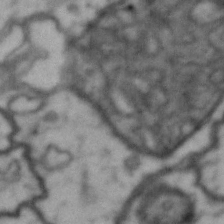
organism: Drosophila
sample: Brain